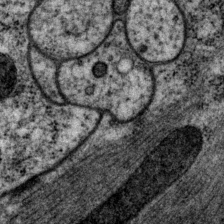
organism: P. pacificus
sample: Pharynx